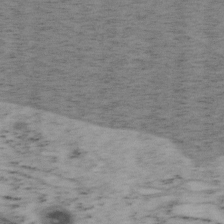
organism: Mouse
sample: OT-I killer T cells with ID8 ovarian cancer cells